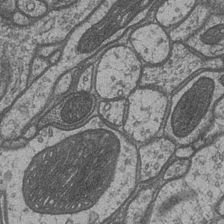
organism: Drosophila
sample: Optic medulla